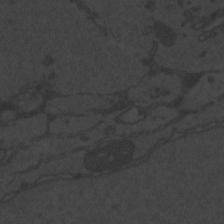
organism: Zebrafish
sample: Macrophage infected with Toxoplasma gondii